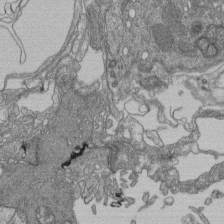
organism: Human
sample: Retinal organoid Rod and Cone cells